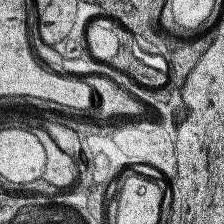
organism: Human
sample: Temporal Lobe